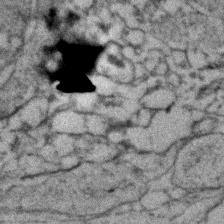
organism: Zebrafish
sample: Zebrafish embryo